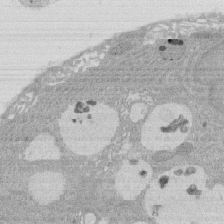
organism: Rat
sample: Salivary granule